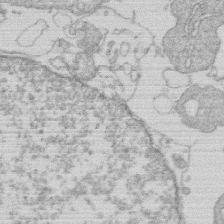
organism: Human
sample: Macrophage cells